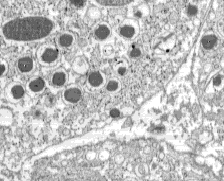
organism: C57BL Mouse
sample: Pancreatic islet